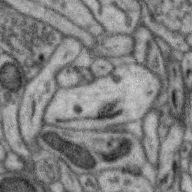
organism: Zebra finch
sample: Brain